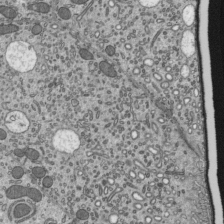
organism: Mouse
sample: Mouse epididymis efferent ductule cilia